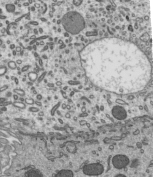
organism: Mouse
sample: Mouse epididymis efferent ductule cilia